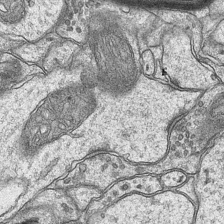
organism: Mouse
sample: CA1 Hippocampus